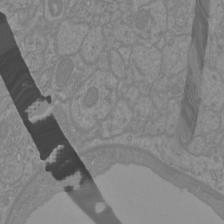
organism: Mouse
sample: Cortical neurons